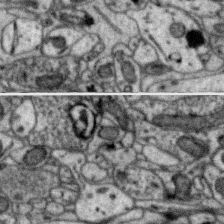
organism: Zebra finch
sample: Brain